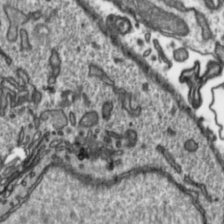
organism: Toxoplasma gondii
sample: Parasites in a vacuole inside a host cell